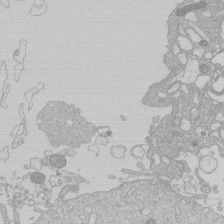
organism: Human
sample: Macrophage cells